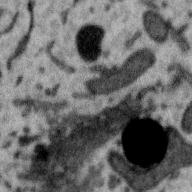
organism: Zebra finch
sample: Brain